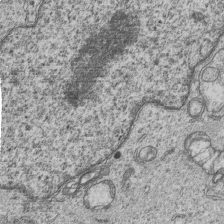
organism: Human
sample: MDA-MB-231 cells